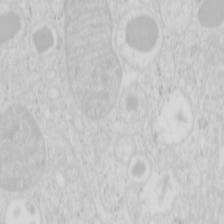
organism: Mouse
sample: Pancreas